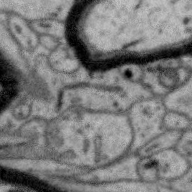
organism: Zebra finch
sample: Brain